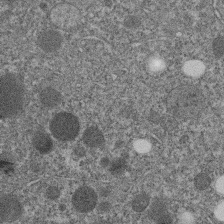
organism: C. elegans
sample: C. elegans embryo early stage